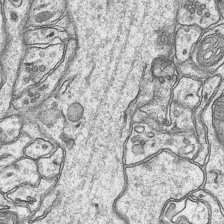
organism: Mouse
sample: CA1 Hippocampus